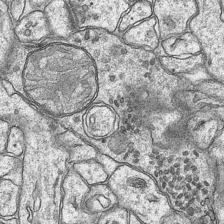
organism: Mouse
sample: CA1 Hippocampus